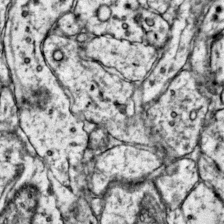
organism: Mouse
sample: Primary visual cortex